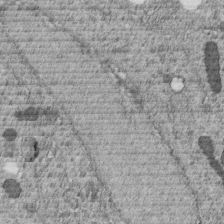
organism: C. elegans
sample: C. elegans embryo early stage